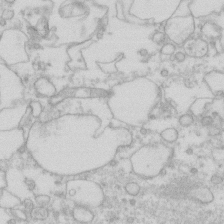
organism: Human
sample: Fibroblast cells